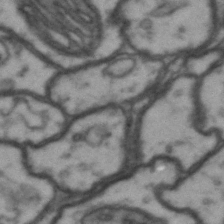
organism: Drosophila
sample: Brain